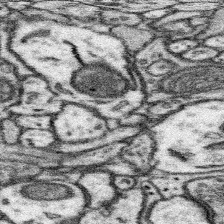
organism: Mouse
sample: Somatosensory cortex neuropil